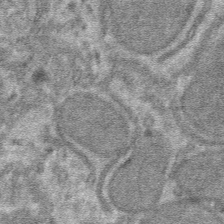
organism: Mouse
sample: Mouse hepatocytes